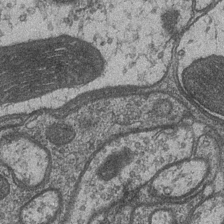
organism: Drosophila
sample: Optic medulla